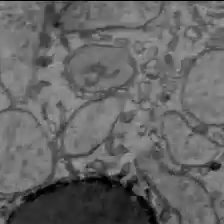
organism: C57BL Mouse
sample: Liver